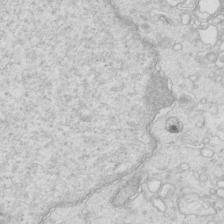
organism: Mouse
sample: Multiciliated cells